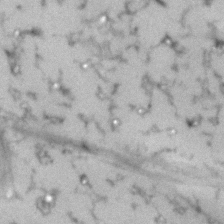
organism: Human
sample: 1205lu cells